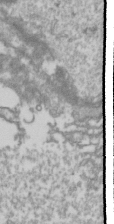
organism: Drosophila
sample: Cell division; meiosis; drosophila spermatocytes